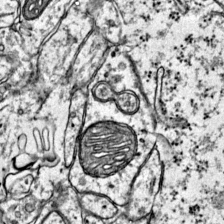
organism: Mouse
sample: Primary visual cortex